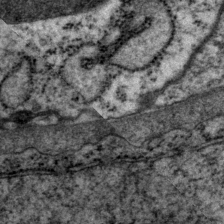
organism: P. pacificus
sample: Pharynx